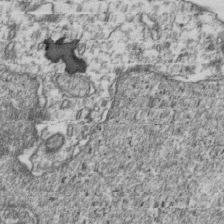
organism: Human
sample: Activated Jurkat CD4+ T cells